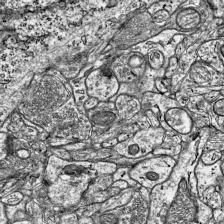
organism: Mouse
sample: Visual Cortex